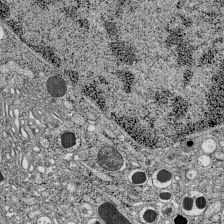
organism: C57BL Mouse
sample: Pancreatic islet